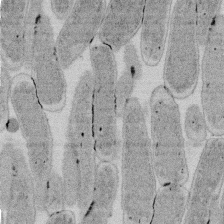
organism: E. coli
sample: Bacterial nucleoid